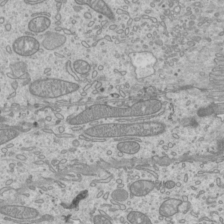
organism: Mouse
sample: Cilia; mouse epididymis